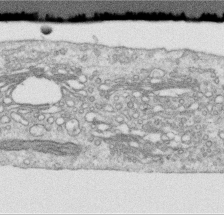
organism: Human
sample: Centriole in RPE cells